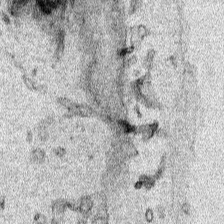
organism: Human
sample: Mitochondria in HCT116 cells